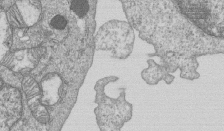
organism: Human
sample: MDA-MB-231 cells